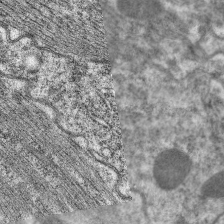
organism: C. elegans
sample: Pharynx